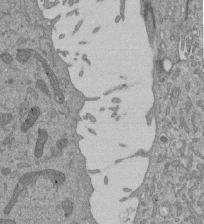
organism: Mouse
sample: ED-1 cell nuclei; centrioles